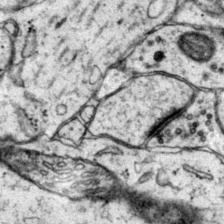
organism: Mouse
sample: Primary visual cortex